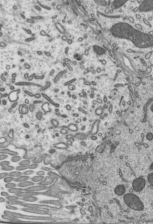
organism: Mouse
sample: Mouse epididymis efferent ductule cilia